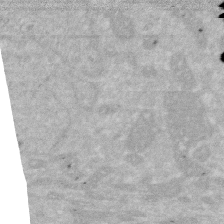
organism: Human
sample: HIV infected U937 cells